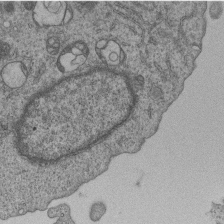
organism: Human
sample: MDA-MB-231 cells